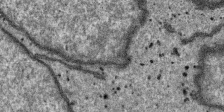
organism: Human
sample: Lung epithelial cells, uninfected (mock) control